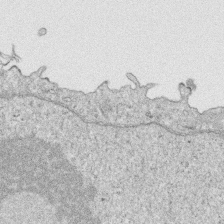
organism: Human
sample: HeLa cell HIV synapse